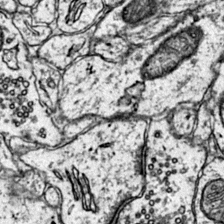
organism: Mouse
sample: Primary visual cortex